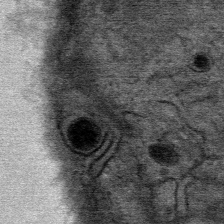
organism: Mouse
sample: Mouse Salivary gland